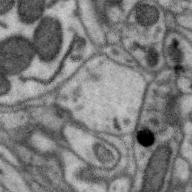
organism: Zebra finch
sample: Brain